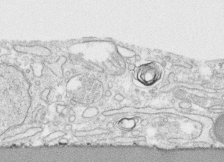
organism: Human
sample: CRL-1474